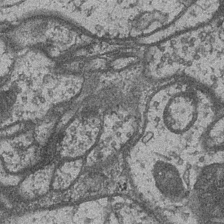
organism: Drosophila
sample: Optic medulla